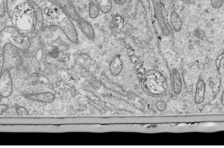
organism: Drosophila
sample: Cell division; meiosis; drosophila spermatocytes